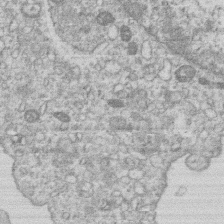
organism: Human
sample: Macrophage cells